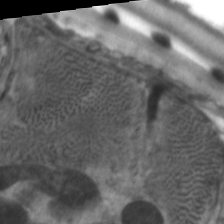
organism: C. elegans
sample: Pharynx